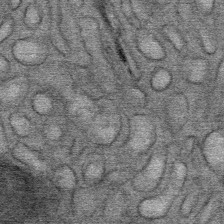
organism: Mouse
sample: Mouse Salivary gland